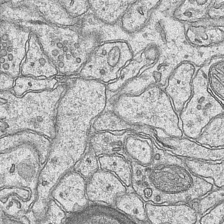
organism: Mouse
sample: CA1 Hippocampus